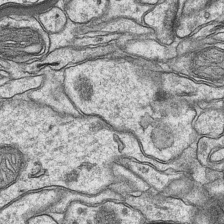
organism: Mouse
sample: CA1 Hippocampus